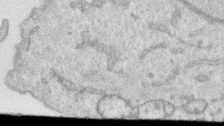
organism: Human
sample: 1205lu cells